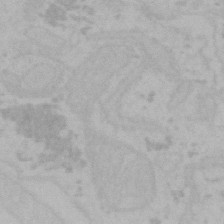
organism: Mouse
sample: Choroid plexus